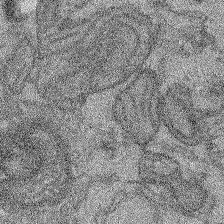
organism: Human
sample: HeLa cells